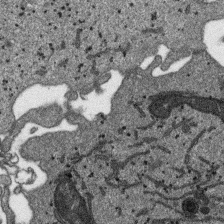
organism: Human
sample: Lung epithelial cells infected with SARS-CoV-2